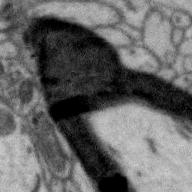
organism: Zebra finch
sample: Brain